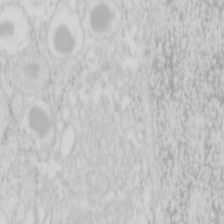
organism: Mouse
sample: Pancreas